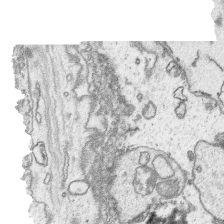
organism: Platynereis dumerilii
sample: Parapodia